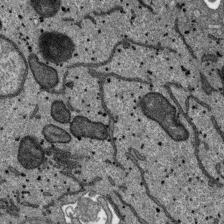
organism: Human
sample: Lung epithelial cells, uninfected (mock) control